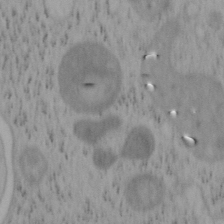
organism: Mouse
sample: OT-I killer T cells with ID8 ovarian cancer cells